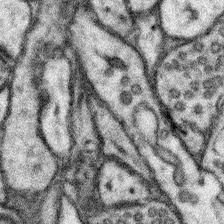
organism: Mouse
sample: Somatosensory cortex neuropil